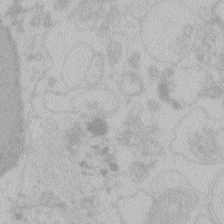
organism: Zebrafish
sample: Macrophage infected with Toxoplasma gondii